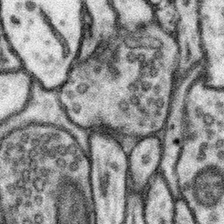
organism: Mouse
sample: Somatosensory cortex neuropil